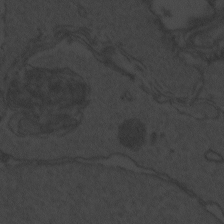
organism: Zebrafish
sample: Macrophage infected with Toxoplasma gondii